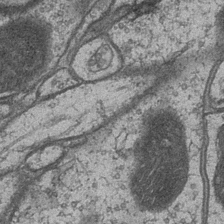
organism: Drosophila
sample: Optic medulla